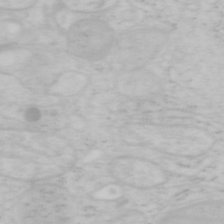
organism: Mouse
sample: OT-I killer T cells with ID8 ovarian cancer cells